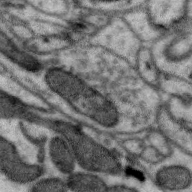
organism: Zebra finch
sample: Brain